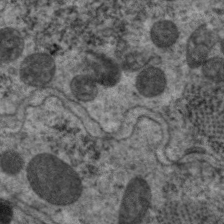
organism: C. elegans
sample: Pharynx